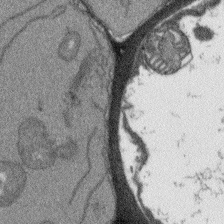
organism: Arabidopsis thaliana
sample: Root tip